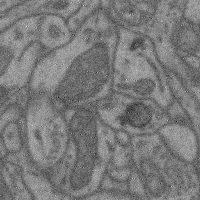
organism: Mouse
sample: Cerebral cortex